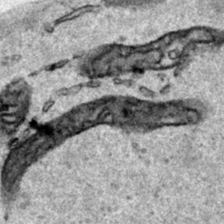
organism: Human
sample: Mitochondria in HCT116 cells